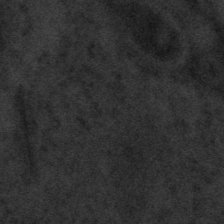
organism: Tuwongella immobilis